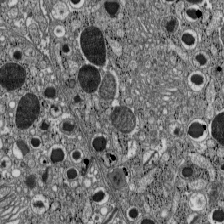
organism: C57BL Mouse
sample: Pancreatic islet